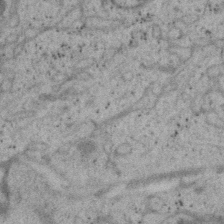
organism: Human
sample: HeLa cells